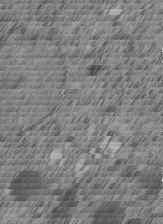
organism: C. elegans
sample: C. elegans embryo early stage